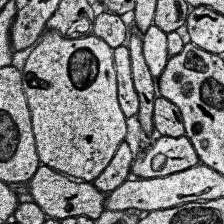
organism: Human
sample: Temporal Lobe